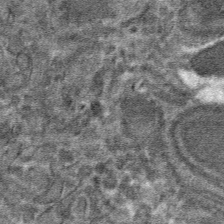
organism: Mouse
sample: Mouse hepatocytes